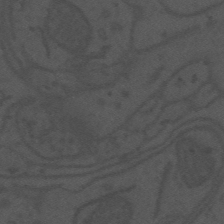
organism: Mouse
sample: Suprachiasmatic nucleus